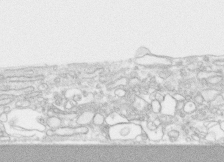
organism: Human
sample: CRL-1474